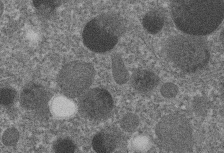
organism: C. elegans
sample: C. elegans embryo early stage